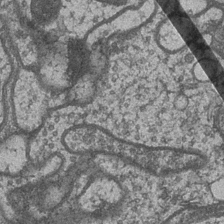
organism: Drosophila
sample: Optic medulla